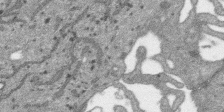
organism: Human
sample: Lung epithelial cells infected with SARS-CoV-2